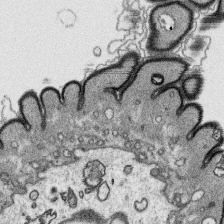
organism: Platynereis dumerilii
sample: Parapodia